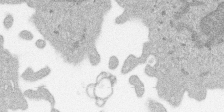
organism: Human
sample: Lung epithelial cells infected with SARS-CoV-2